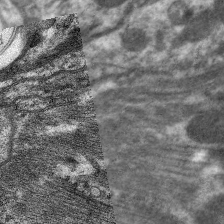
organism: C. elegans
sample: Pharynx